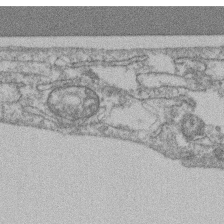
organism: Mouse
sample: T cell stromal cell synapse